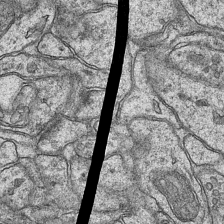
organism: Mouse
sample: CA1 Hippocampus